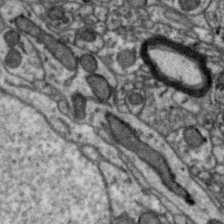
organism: Zebra finch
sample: Brain